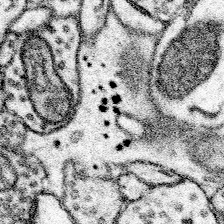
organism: Mouse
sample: Somatosensory cortex neuropil